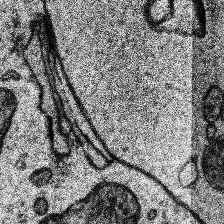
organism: Human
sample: Temporal Lobe